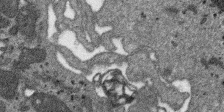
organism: Human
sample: Lung epithelial cells infected with SARS-CoV-2